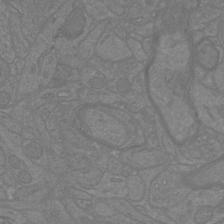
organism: Mouse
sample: Cortical neurons